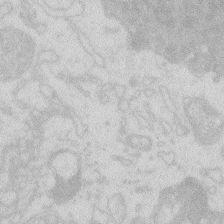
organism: Zebrafish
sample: Macrophage